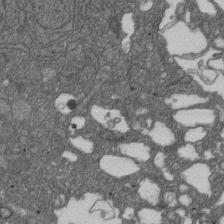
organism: Drosophila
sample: Nephrocyte